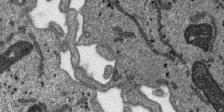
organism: Human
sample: Lung epithelial cells infected with SARS-CoV-2